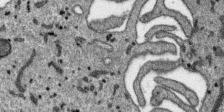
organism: Human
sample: Lung epithelial cells, uninfected (mock) control